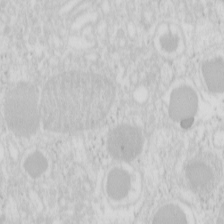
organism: Mouse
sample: Pancreas